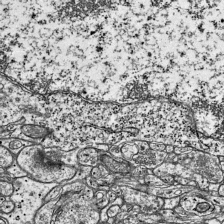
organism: Mouse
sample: Visual Cortex